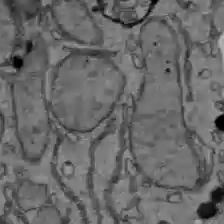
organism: C57BL Mouse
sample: Liver